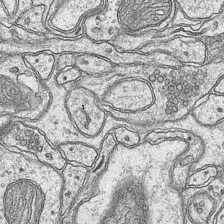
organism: Mouse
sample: CA1 Hippocampus